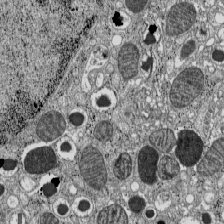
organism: C57BL Mouse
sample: Pancreatic islet